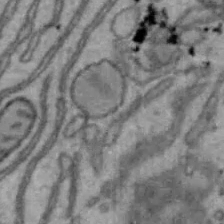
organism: Mouse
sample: Liver